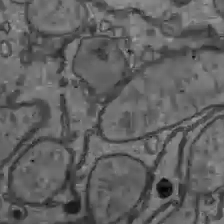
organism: C57BL Mouse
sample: Liver